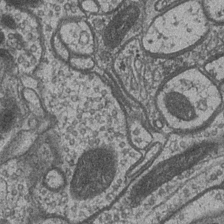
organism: Drosophila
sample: Optic medulla